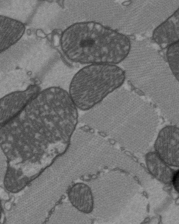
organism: C57BL Mouse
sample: Heart